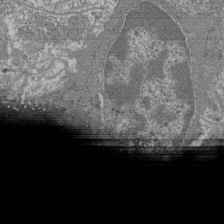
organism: Mouse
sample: Glomerulus